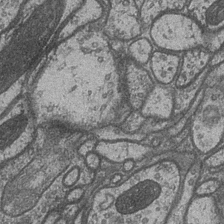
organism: Drosophila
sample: Optic medulla